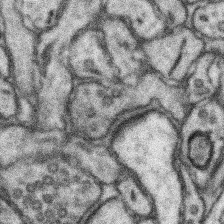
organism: Mouse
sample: Somatosensory cortex neuropil